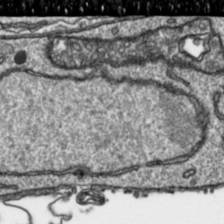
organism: Toxoplasma gondii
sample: Parasites in a vacuole inside a host cell